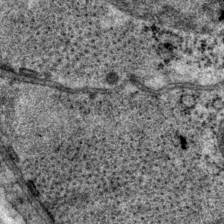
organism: P. pacificus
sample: Pharynx